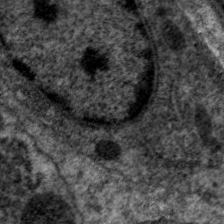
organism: C. elegans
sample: Pharynx